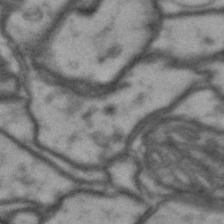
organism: Drosophila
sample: Brain